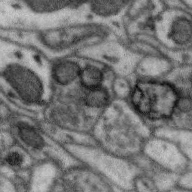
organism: Zebra finch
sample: Brain